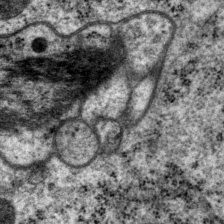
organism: P. pacificus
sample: Pharynx